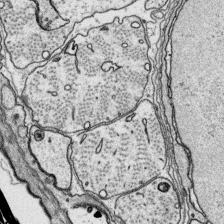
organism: Platynereis dumerilii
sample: Parapodia